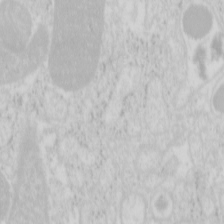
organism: Mouse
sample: Pancreas